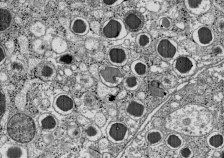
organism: C57BL Mouse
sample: Pancreatic islet